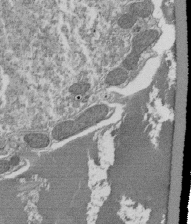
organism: Tetrahymena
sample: Cilia in tetrahymena